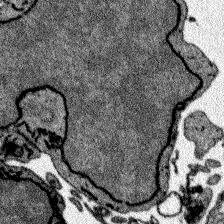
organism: Zebrafish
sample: Larval olfactory bulb